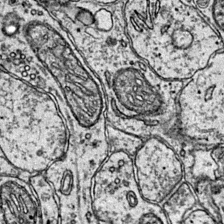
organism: Mouse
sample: Primary visual cortex